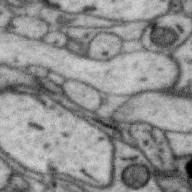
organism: Zebra finch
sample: Brain